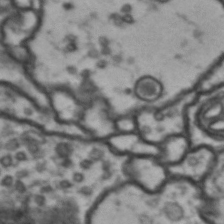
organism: Drosophila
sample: Brain